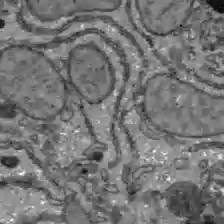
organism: C57BL Mouse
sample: Liver